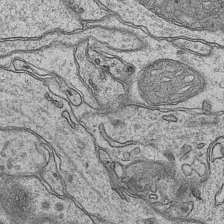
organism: Mouse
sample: CA1 Hippocampus